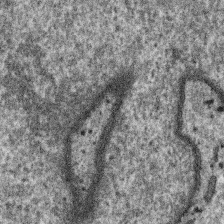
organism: Human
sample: Lung epithelial cells infected with SARS-CoV-2